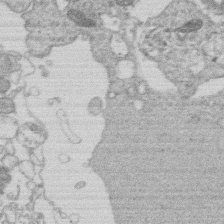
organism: Human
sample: Macrophage cells